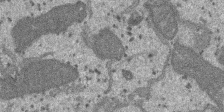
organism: Human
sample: Lung epithelial cells infected with SARS-CoV-2